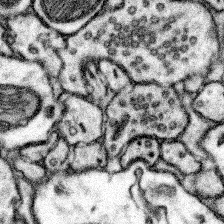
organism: Mouse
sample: Somatosensory cortex neuropil